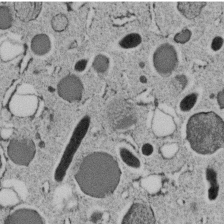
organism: C. elegans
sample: C. elegans embryo early stage